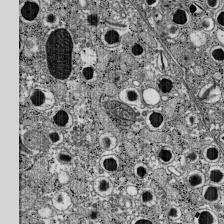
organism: C57BL Mouse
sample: Pancreatic islet